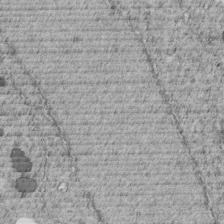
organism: C. elegans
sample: C. elegans embryo early stage